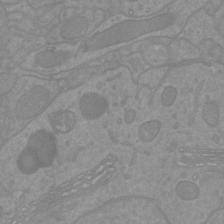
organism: Mouse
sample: Cortical neurons